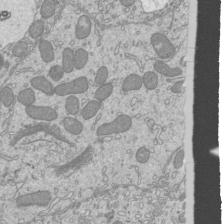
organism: Mouse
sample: Cilia; mouse epididymis